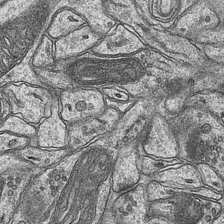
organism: Mouse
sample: CA1 Hippocampus